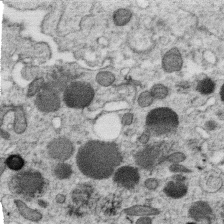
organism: C. elegans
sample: C. elegans oocyte; sperm cells